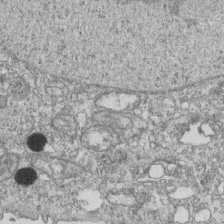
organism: Human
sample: HeLa cell HIV synapse